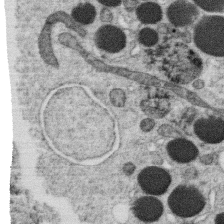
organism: C. elegans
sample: C. elegans oocyte; sperm cells